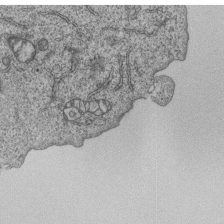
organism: Human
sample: MDA-MB-231 cells